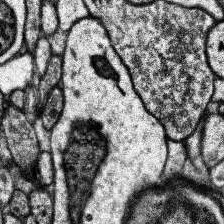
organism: Human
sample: Temporal Lobe